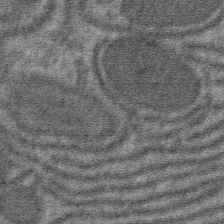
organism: Mouse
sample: Mouse hepatocytes